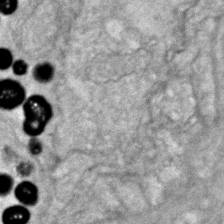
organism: Zebrafish